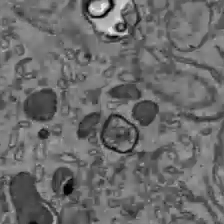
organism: C57BL Mouse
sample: Liver